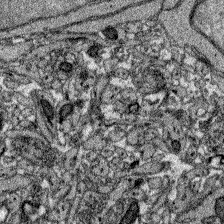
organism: Zebrafish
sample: Larval olfactory bulb